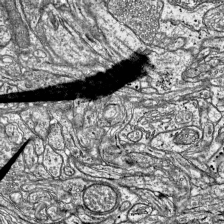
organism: Mouse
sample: Visual Cortex